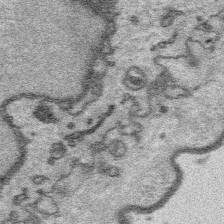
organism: Platynereis dumerilii